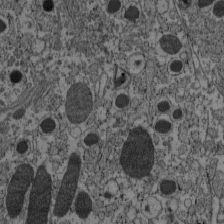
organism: C57BL Mouse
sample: Pancreatic islet